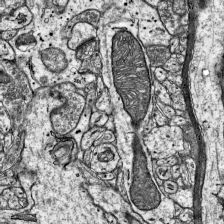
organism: Mouse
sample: Visual Cortex